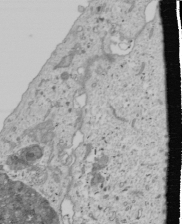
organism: Human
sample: Mitochondria in U2OS cells